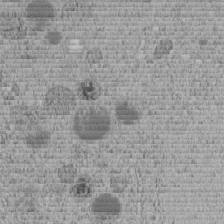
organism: C. elegans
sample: C. elegans embryo early stage